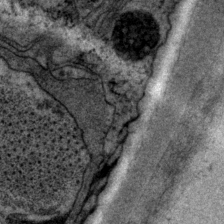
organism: P. pacificus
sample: Pharynx